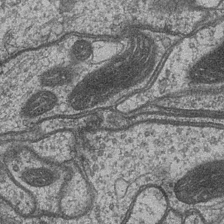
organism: Drosophila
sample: Optic medulla